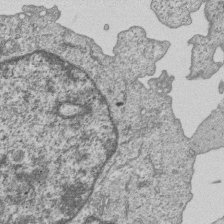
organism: Human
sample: MDA-MB-231 cells